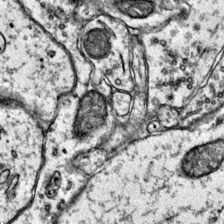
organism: Mouse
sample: Primary visual cortex